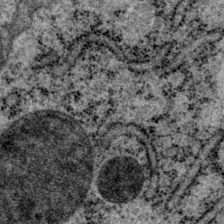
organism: P. pacificus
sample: Pharynx